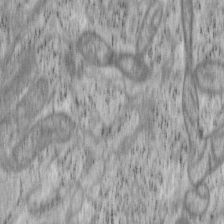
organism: Human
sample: HeLa cells